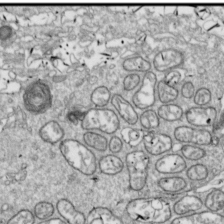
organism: Drosophila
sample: Cell division; meiosis; drosophila spermatocytes